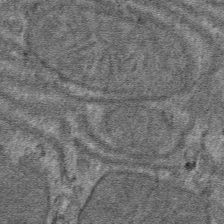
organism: Mouse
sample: Mouse hepatocytes